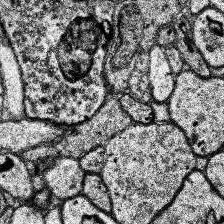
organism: Human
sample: Temporal Lobe